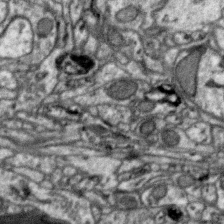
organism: Zebra finch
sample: Brain